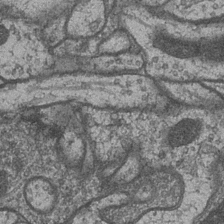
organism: Drosophila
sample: Optic medulla